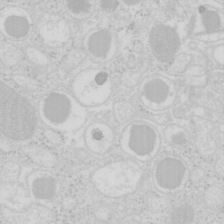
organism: Mouse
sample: Pancreas